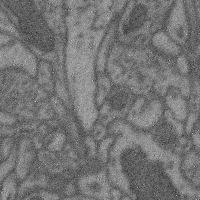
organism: Mouse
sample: Cerebral cortex